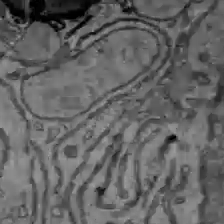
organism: C57BL Mouse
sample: Liver